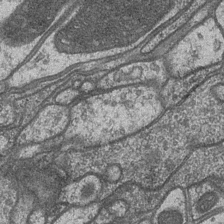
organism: Drosophila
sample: Optic medulla